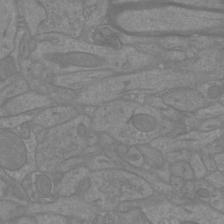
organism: Mouse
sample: Cortical neurons